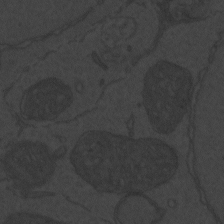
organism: Zebrafish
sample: Macrophage infected with Toxoplasma gondii